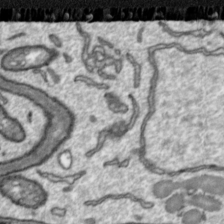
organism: Toxoplasma gondii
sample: Parasites in a vacuole inside a host cell